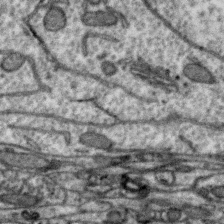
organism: Zebra finch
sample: Brain